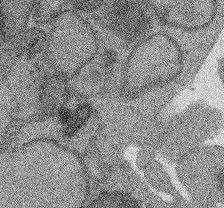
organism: Human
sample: HeLa cells